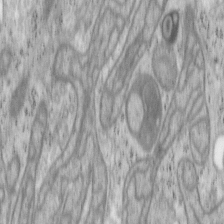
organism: Human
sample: HeLa cells